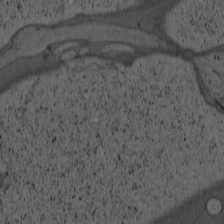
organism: African green monkey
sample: COS-7 cells